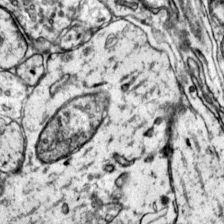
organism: Mouse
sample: Primary visual cortex